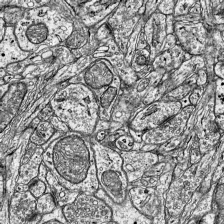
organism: Mouse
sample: Visual Cortex